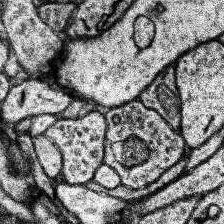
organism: Human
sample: Temporal Lobe